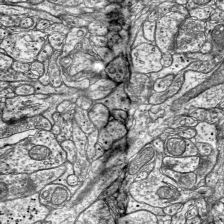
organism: Mouse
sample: Visual Cortex